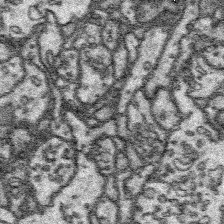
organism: Platynereis dumerilii